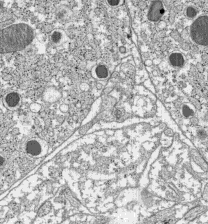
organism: C57BL Mouse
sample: Pancreatic islet